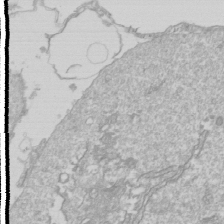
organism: Drosophila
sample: Cell division; meiosis; drosophila spermatocytes